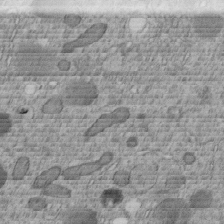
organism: C. elegans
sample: C. elegans embryo early stage